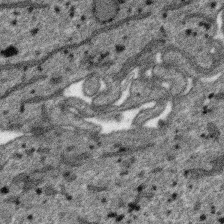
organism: Human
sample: Lung epithelial cells infected with SARS-CoV-2